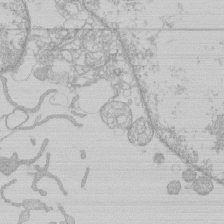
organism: Human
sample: Macrophage cells